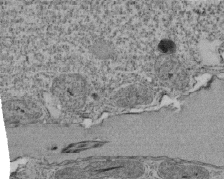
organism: Tetrahymena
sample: Cilia in tetrahymena